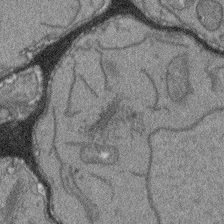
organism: Arabidopsis thaliana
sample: Root tip